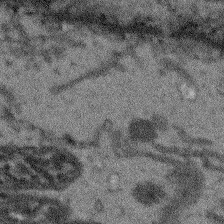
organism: Arabidopsis thaliana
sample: Root tip